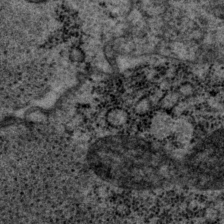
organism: P. pacificus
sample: Pharynx